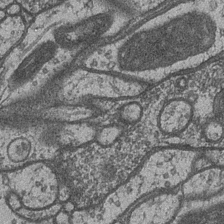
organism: Drosophila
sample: Optic medulla